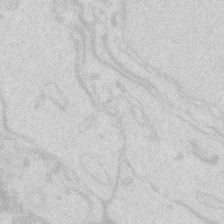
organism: Zebrafish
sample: Macrophage